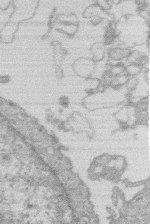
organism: Human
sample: Macrophage cells